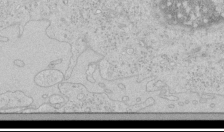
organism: Human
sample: Mitochondria in HCT116 cells